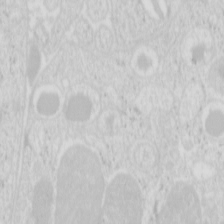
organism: Mouse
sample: Pancreas